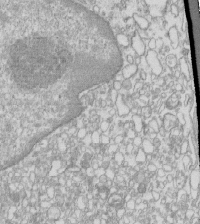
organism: Mouse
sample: Macrophages